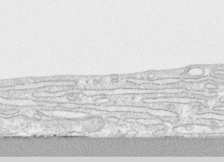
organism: Human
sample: CRL-1474